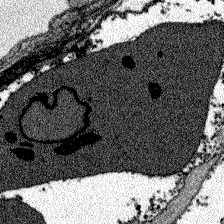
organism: Zebrafish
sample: Larval olfactory bulb